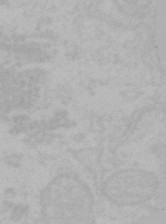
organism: Mouse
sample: Choroid plexus